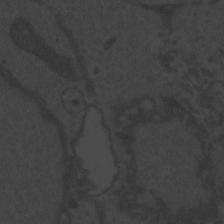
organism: Zebrafish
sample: Macrophage infected with Toxoplasma gondii